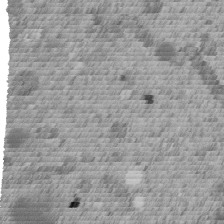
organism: C. elegans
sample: C. elegans embryo early stage